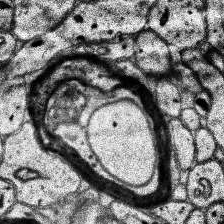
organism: Human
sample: Temporal Lobe